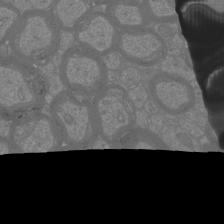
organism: Mouse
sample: Cortical neurons